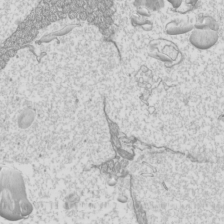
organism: Mouse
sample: Cilia; mouse epididymis